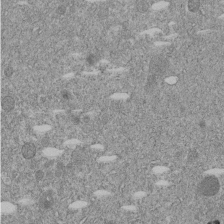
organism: C. elegans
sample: C. elegans embryo early stage